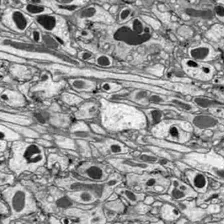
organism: Drosophila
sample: Optic lobe